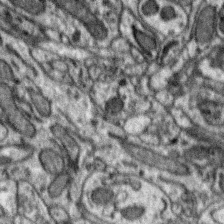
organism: Zebra finch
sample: Brain